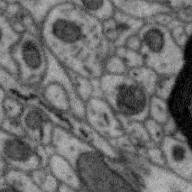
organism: Zebra finch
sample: Brain